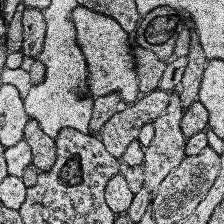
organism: Human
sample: Temporal Lobe